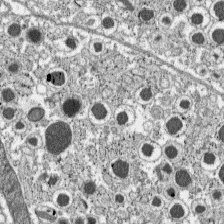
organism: C57BL Mouse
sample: Pancreatic islet